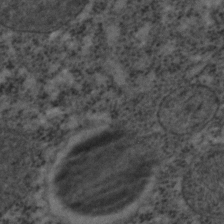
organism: C. elegans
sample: C. elegans embryo